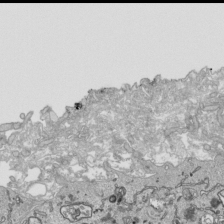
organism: Human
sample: Mitochondria in HCT116 cells